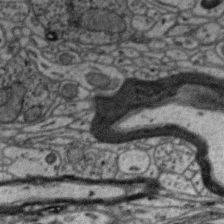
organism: Zebra finch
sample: Brain